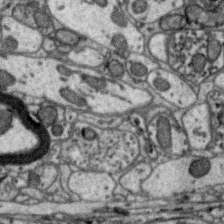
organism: Zebra finch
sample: Brain